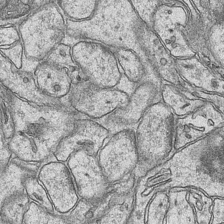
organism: Mouse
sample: CA1 Hippocampus